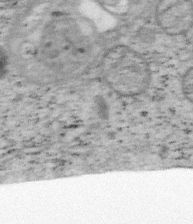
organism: Mouse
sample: OT-I killer T cells with ID8 ovarian cancer cells